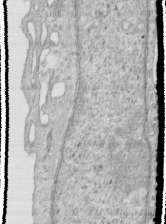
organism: Human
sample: Centriole in RPE cells